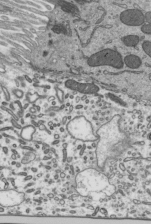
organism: Mouse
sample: Mouse epididymis efferent ductule cilia